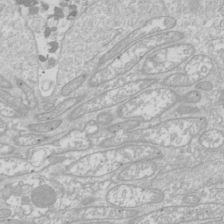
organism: Drosophila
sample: Cell division; meiosis; drosophila spermatocytes